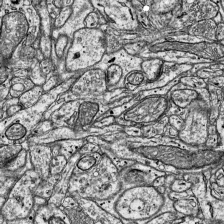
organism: Mouse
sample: Visual Cortex